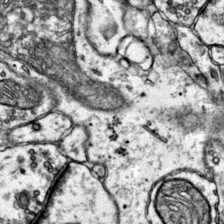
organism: Mouse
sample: Primary visual cortex